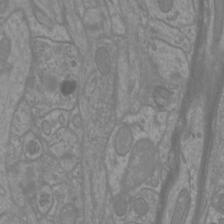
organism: Mouse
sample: Cortical neurons